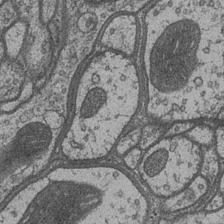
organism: Drosophila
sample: Optic medulla